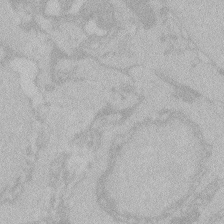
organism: Zebrafish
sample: Macrophage infected with Toxoplasma gondii